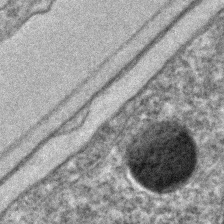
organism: C. elegans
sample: C. elegans embryo